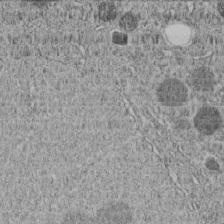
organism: C. elegans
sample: C. elegans embryo early stage